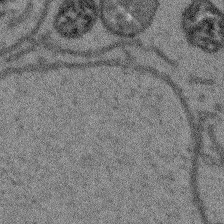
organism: Arabidopsis thaliana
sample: Root tip